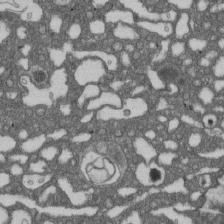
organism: Drosophila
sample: Nephrocyte